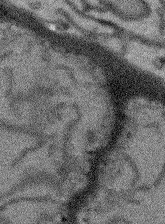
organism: Arabidopsis thaliana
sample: Root tip